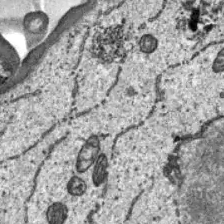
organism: Human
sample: HeLa cells